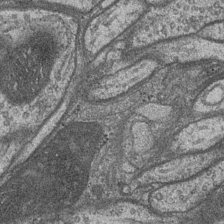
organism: Drosophila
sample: Optic medulla